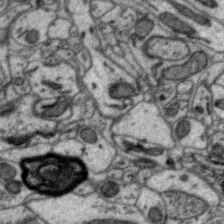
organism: Zebra finch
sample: Brain